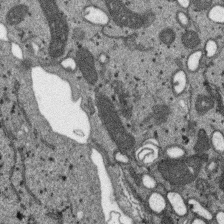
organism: Human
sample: Lung epithelial cells infected with SARS-CoV-2